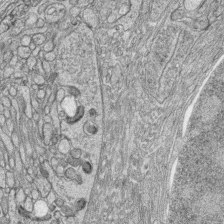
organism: Zebrafish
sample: synaptic ribbons in rod cells and cone cells